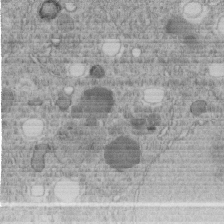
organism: C. elegans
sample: C. elegans embryo early stage